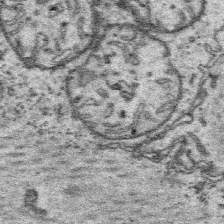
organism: Platynereis dumerilii